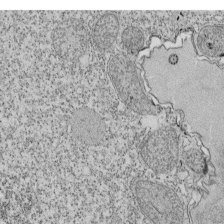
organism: Tetrahymena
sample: Cilia in tetrahymena